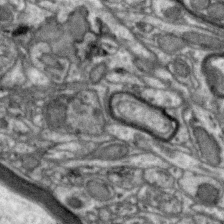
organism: Zebra finch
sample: Brain